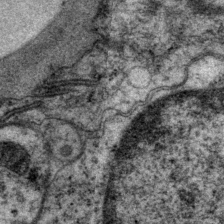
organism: P. pacificus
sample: Pharynx